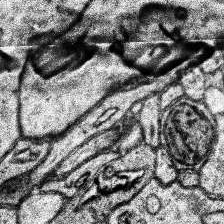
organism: Human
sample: Temporal Lobe